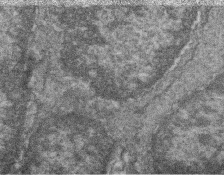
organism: Zebrafish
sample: Cilia; retinal pigment epithelium